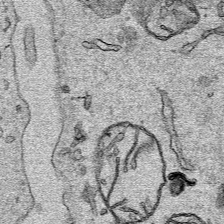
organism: Human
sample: Mitochondria in HCT116 cells